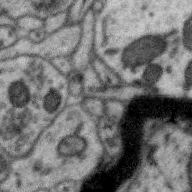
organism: Zebra finch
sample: Brain